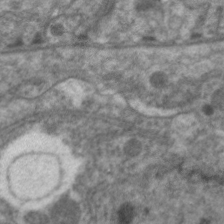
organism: C. elegans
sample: Pharynx